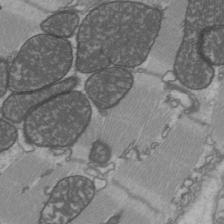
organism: C57BL Mouse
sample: Heart